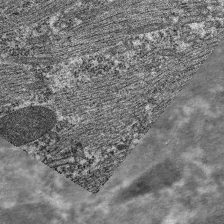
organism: C. elegans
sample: Pharynx